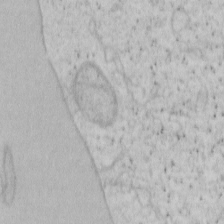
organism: Human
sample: HeLa cells